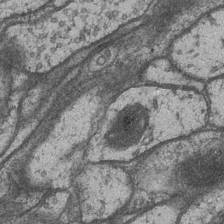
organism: Drosophila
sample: Optic medulla